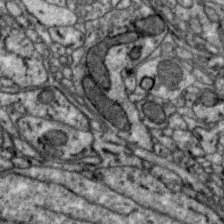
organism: Zebra finch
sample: Brain